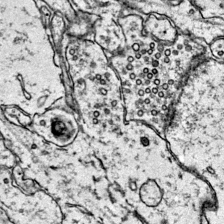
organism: Mouse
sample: Primary visual cortex